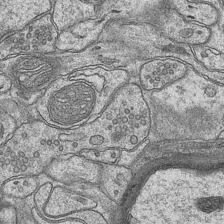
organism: Mouse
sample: CA1 Hippocampus